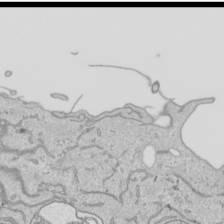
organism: Human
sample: Mitochondria in HCT116 cells